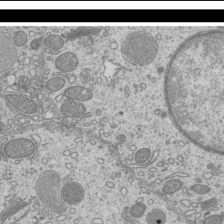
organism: Mouse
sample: Cilia; mouse epididymis